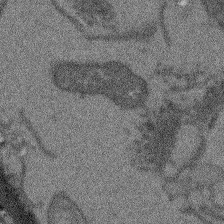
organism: Arabidopsis thaliana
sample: Root tip